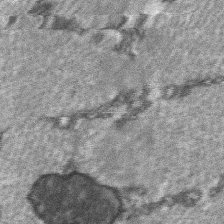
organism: C57BL Mouse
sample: Soleus